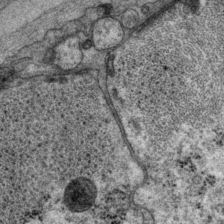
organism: P. pacificus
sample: Pharynx